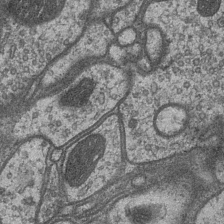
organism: Drosophila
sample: Optic medulla